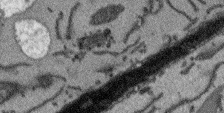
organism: Arabidopsis thaliana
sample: Root tip